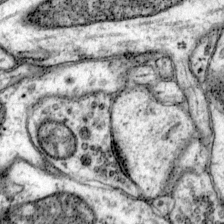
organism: Mouse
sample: Primary visual cortex